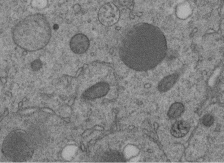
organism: C. elegans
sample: C. elegans embryo early stage